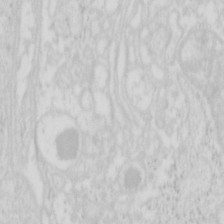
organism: Mouse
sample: Pancreas